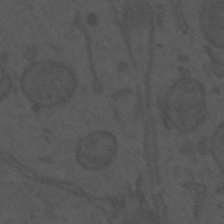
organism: Mouse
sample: Suprachiasmatic nucleus